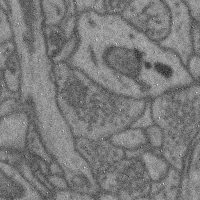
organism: Mouse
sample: Cerebral cortex